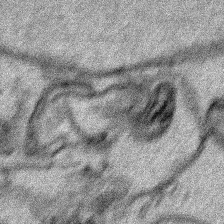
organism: Human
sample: Mitochondria in HCT116 cells